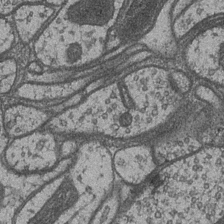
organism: Drosophila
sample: Optic medulla